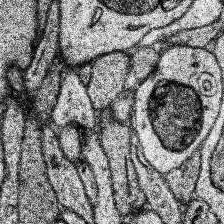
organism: Human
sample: Temporal Lobe